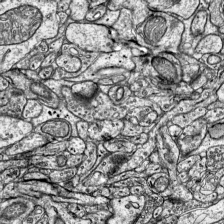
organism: Mouse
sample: Visual Cortex